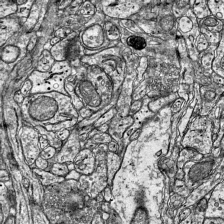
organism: Mouse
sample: Visual Cortex